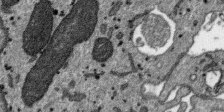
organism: Human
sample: Lung epithelial cells, uninfected (mock) control